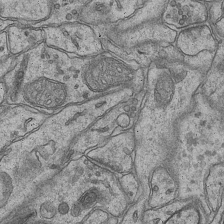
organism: Mouse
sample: CA1 Hippocampus